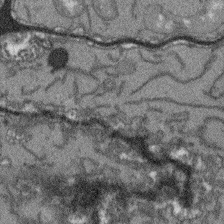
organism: Arabidopsis thaliana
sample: Root tip